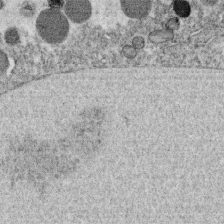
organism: C. elegans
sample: C. elegans oocyte; sperm cells